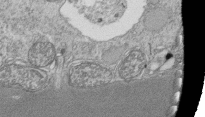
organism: Tetrahymena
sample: Cilia in tetrahymena